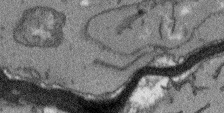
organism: Arabidopsis thaliana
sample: Root tip